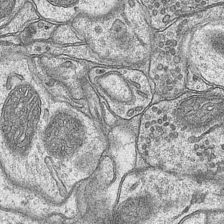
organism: Mouse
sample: CA1 Hippocampus